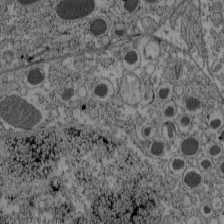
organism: C57BL Mouse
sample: Pancreatic islet